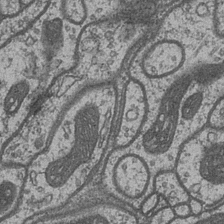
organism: Drosophila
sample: Optic medulla